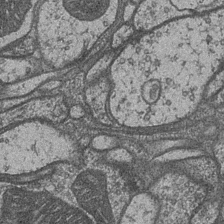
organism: Drosophila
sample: Optic medulla